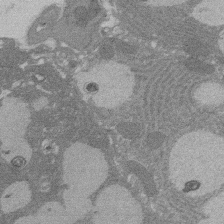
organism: Rat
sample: Salivary granule